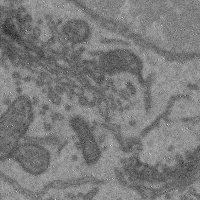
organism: Mouse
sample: Cerebral cortex